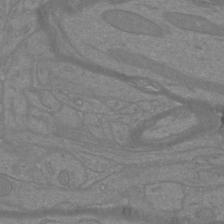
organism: Mouse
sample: Cortical neurons